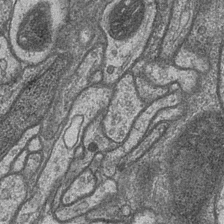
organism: Drosophila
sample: Optic medulla